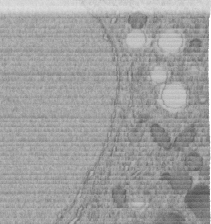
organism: C. elegans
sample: C. elegans embryo early stage